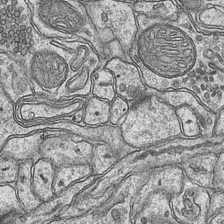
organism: Mouse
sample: CA1 Hippocampus